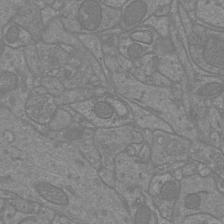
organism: Mouse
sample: Cortical neurons